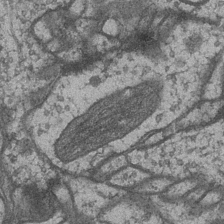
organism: Drosophila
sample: Optic medulla